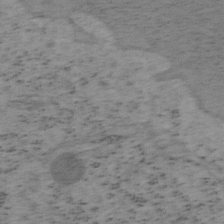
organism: Mouse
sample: OT-I killer T cells with ID8 ovarian cancer cells